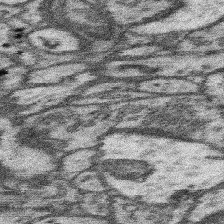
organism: Mouse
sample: Somatosensory cortex neuropil